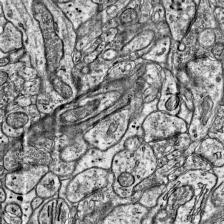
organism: Mouse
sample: Visual Cortex